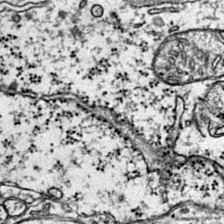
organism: Mouse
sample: Primary visual cortex